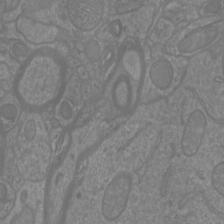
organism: Mouse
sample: Cortical neurons